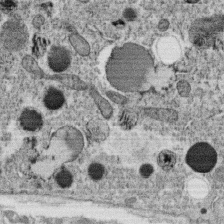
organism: C. elegans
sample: C. elegans oocyte; sperm cells